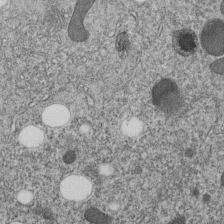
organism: C. elegans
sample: C. elegans embryo early stage